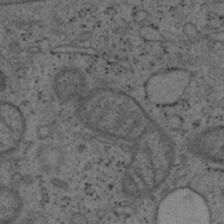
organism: Human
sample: HeLa cells